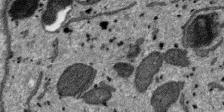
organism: Human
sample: Lung epithelial cells, uninfected (mock) control